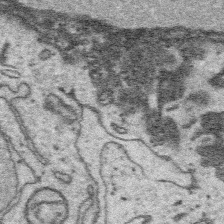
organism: Platynereis dumerilii